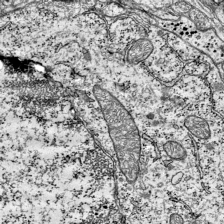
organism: Mouse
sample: Visual Cortex